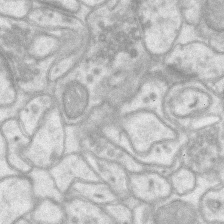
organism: Mouse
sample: CA1 Hippocampus